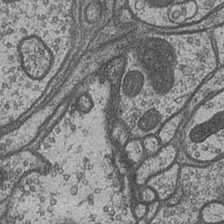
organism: Drosophila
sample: Optic medulla